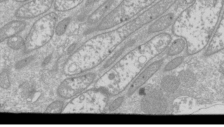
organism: Drosophila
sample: Cell division; meiosis; drosophila spermatocytes